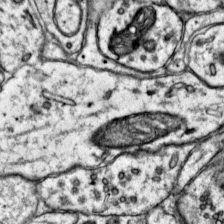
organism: Mouse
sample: Primary visual cortex